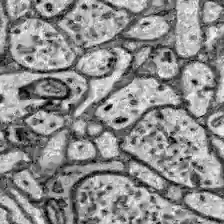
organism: Zebrafish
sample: Brain